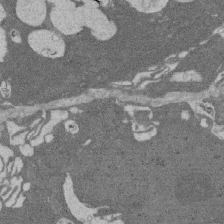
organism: Rat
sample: Salivary granule